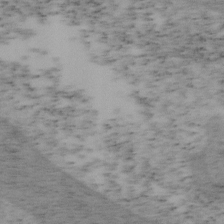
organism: Mouse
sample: OT-I killer T cells with ID8 ovarian cancer cells